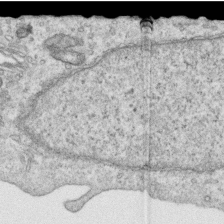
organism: Human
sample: Centriole in RPE cells